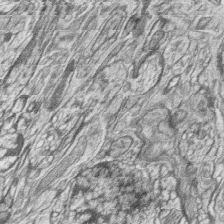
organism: Zebrafish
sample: synaptic ribbons in rod cells and cone cells